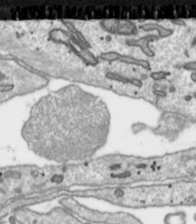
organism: Toxoplasma gondii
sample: Parasites in a vacuole inside a host cell